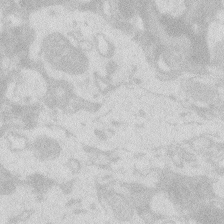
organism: Zebrafish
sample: Macrophage